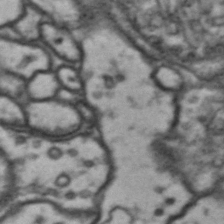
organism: Drosophila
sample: Brain